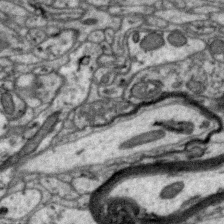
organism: Zebra finch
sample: Brain